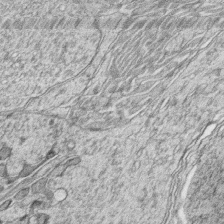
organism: Zebrafish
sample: synaptic ribbons in rod cells and cone cells